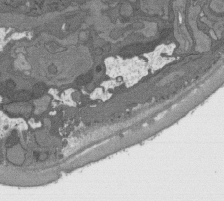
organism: C. elegans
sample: AFD neurons C. elegans